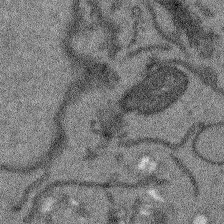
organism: Arabidopsis thaliana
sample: Root tip